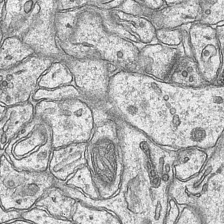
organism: Mouse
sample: CA1 Hippocampus